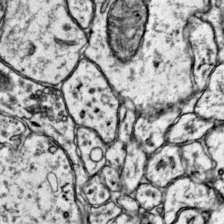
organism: Mouse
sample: Primary visual cortex